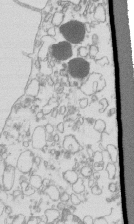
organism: Mouse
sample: Macrophages